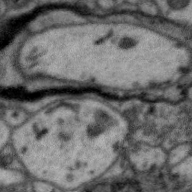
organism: Zebra finch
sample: Brain